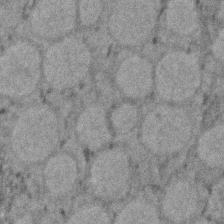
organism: Zebrafish